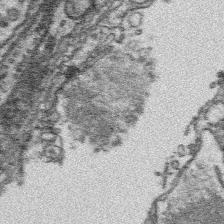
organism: Platynereis dumerilii